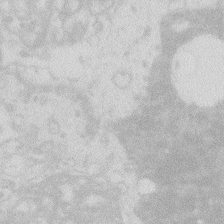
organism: Zebrafish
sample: Macrophage